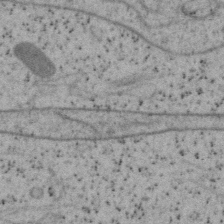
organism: Human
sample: HeLa cells